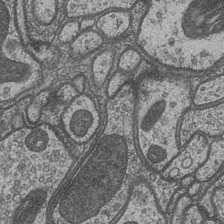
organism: Drosophila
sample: Optic medulla